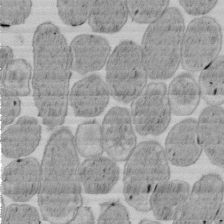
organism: E. coli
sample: Bacterial nucleoid